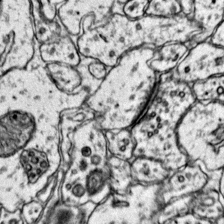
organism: Mouse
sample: Primary visual cortex